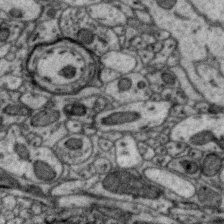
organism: Zebra finch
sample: Brain